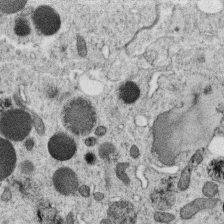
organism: C. elegans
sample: C. elegans oocyte; sperm cells